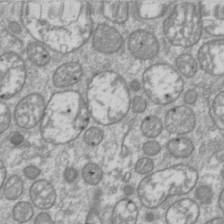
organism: Drosophila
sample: Cell division; meiosis; drosophila spermatocytes